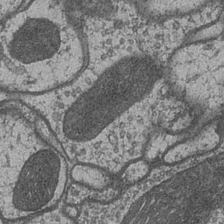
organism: Drosophila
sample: Optic medulla